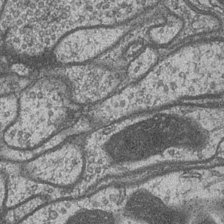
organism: Drosophila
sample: Optic medulla